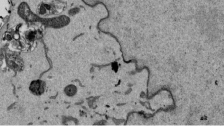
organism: Mouse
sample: ED-1 cell nuclei; centrioles